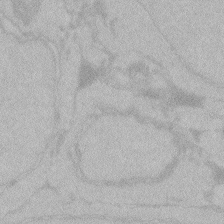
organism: Zebrafish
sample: Macrophage infected with Toxoplasma gondii